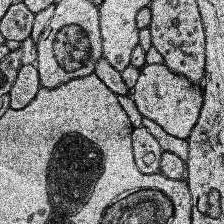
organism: Human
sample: Temporal Lobe